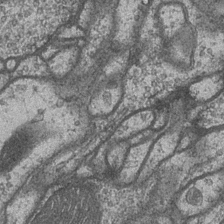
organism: Drosophila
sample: Optic medulla